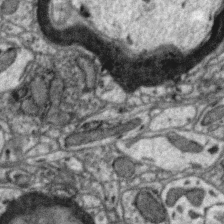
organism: Zebra finch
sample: Brain